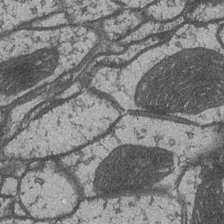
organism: Drosophila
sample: Optic medulla